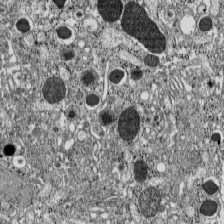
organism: C57BL Mouse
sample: Pancreatic islet